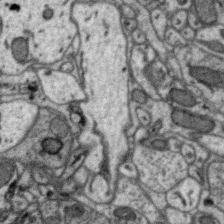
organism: Zebra finch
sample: Brain